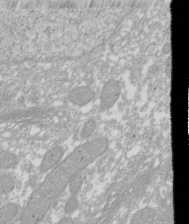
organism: Xenopus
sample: Cilia; centrioles in frog embryo cells